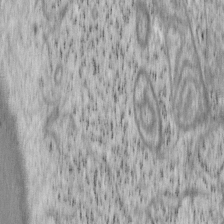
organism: Human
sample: HeLa cells